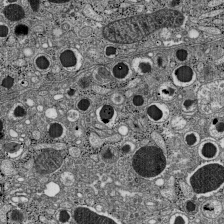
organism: C57BL Mouse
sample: Pancreatic islet